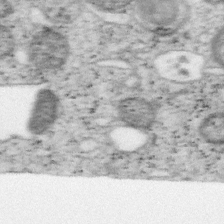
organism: Mouse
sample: OT-I killer T cells with ID8 ovarian cancer cells